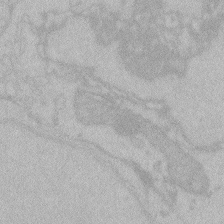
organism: Zebrafish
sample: Macrophage infected with Toxoplasma gondii